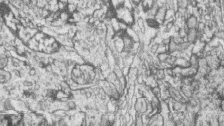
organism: Zebrafish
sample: synaptic ribbons in rod cells and cone cells